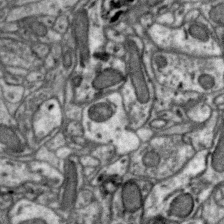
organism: Zebra finch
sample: Brain